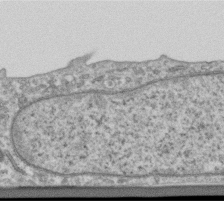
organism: Human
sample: Centriole in RPE cells